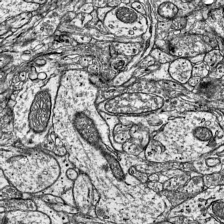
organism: Mouse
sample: Visual Cortex